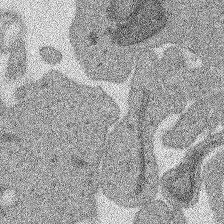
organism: Human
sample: HeLa cells